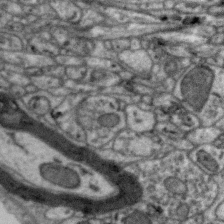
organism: Zebra finch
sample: Brain